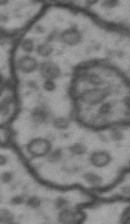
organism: Drosophila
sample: Brain